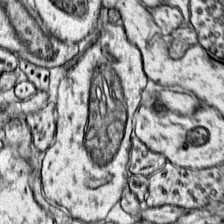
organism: Mouse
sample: Primary visual cortex